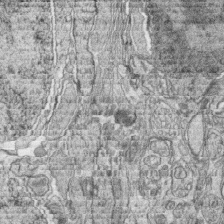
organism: Zebrafish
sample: synaptic ribbons in rod cells and cone cells